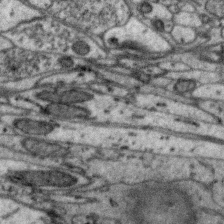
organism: Zebra finch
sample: Brain